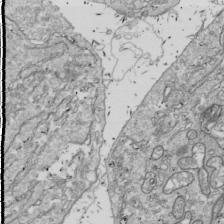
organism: Drosophila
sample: Cell division; meiosis; drosophila spermatocytes